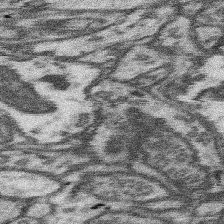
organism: Mouse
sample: Somatosensory cortex neuropil